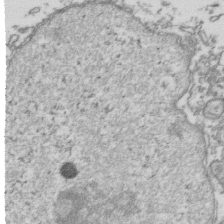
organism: Human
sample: Activated Jurkat CD4+ T cells